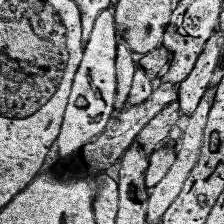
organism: Human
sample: Temporal Lobe